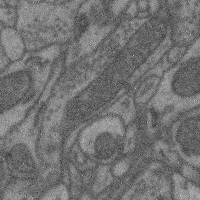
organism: Mouse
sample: Cerebral cortex